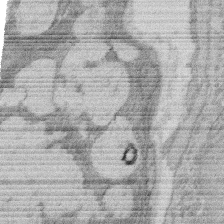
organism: Rat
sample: Salivary granule